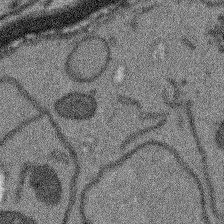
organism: Arabidopsis thaliana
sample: Root tip